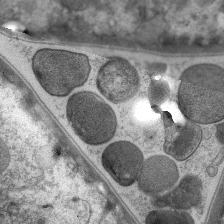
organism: C. elegans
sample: Pharynx